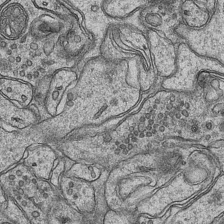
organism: Mouse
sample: CA1 Hippocampus